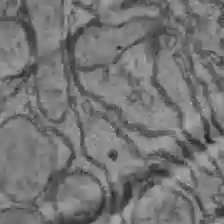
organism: C57BL Mouse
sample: Liver